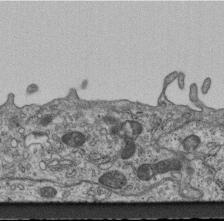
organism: Mouse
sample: Centriole in ependymal cells